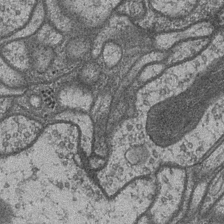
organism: Drosophila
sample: Optic medulla